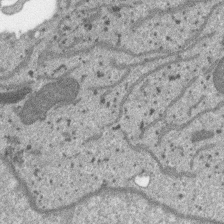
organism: Human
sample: Lung epithelial cells infected with SARS-CoV-2